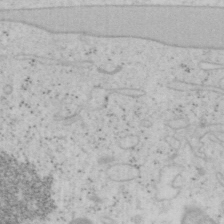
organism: Human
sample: HeLa cells